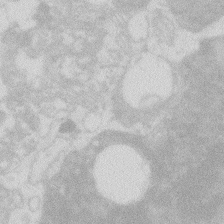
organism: Zebrafish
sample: Macrophage